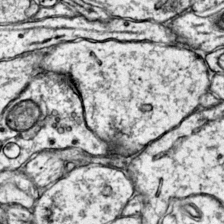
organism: Mouse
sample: Primary visual cortex